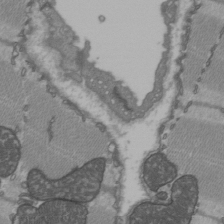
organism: C57BL Mouse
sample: Heart